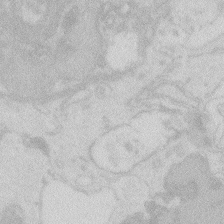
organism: Zebrafish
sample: Macrophage